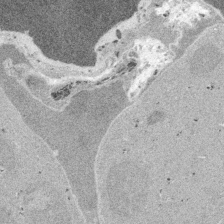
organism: Embia sp.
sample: Silk gland